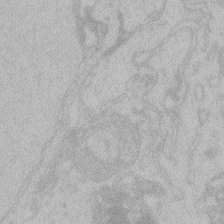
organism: Zebrafish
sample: Macrophage infected with Toxoplasma gondii